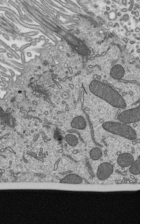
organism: Mouse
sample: Mouse epididymis efferent ductule cilia